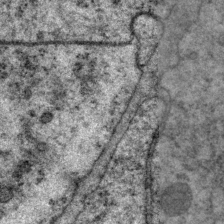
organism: P. pacificus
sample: Pharynx